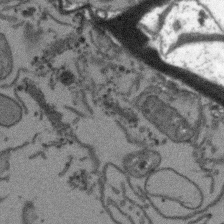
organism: Arabidopsis thaliana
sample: Root tip